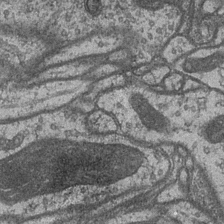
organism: Drosophila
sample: Optic medulla